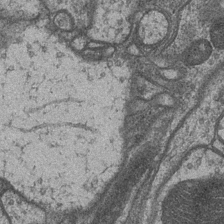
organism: Drosophila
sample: Optic medulla